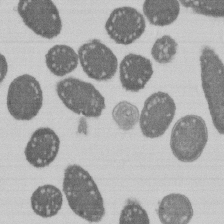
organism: E. coli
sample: Bacterial nucleoid